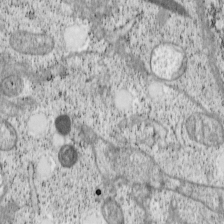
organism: African green monkey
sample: COS-7 cells